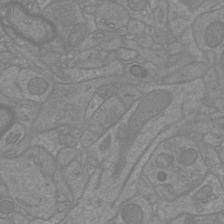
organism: Mouse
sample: Cortical neurons